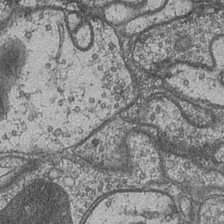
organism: Drosophila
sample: Optic medulla